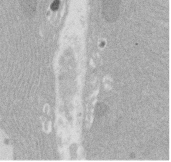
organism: Rat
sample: Salivary granule